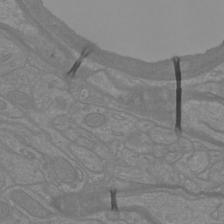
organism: Mouse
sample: Cortical neurons